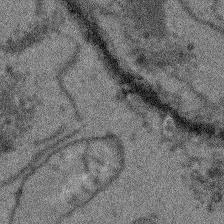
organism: Arabidopsis thaliana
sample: Root tip